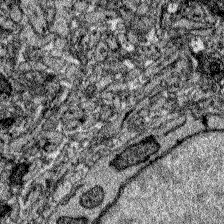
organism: Zebrafish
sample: Larval olfactory bulb